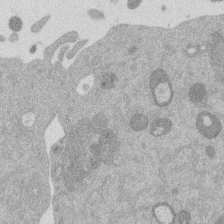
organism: Mouse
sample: Dividing mouse embryo 1 cell stage